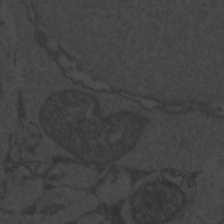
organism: Zebrafish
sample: Macrophage infected with Toxoplasma gondii